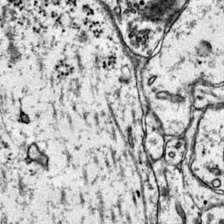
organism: Mouse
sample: Primary visual cortex